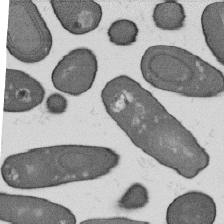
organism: B. subtilis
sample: Bacterial spore